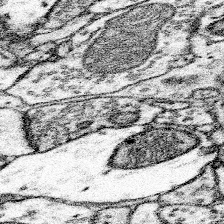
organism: Mouse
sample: Somatosensory cortex neuropil